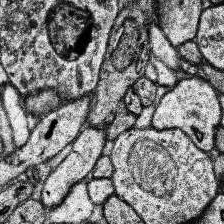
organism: Human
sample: Temporal Lobe